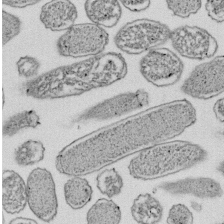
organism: E. coli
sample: Bacterial nucleoid